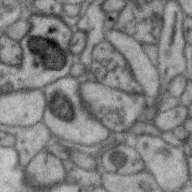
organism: Zebra finch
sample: Brain